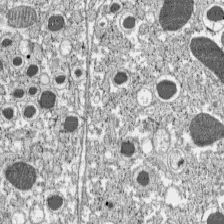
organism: C57BL Mouse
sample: Pancreatic islet